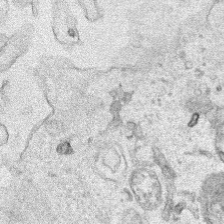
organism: Human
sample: Mitochondria in HCT116 cells